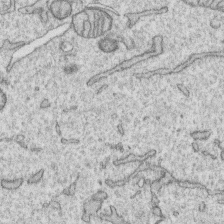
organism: Human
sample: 1205lu cells